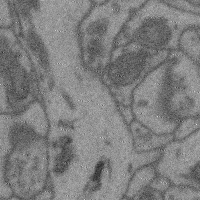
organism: Mouse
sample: Cerebral cortex